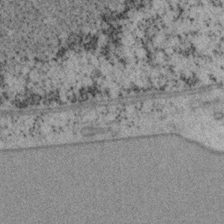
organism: Human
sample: HeLa cells